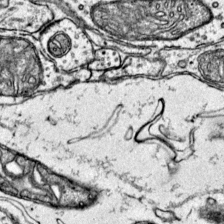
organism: Mouse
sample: Primary visual cortex